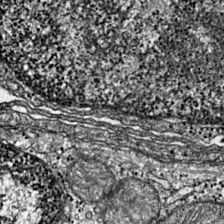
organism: Mouse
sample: Primary visual cortex